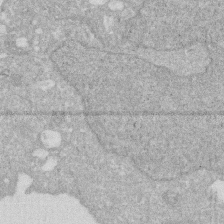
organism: Human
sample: HIV infected U937 cells